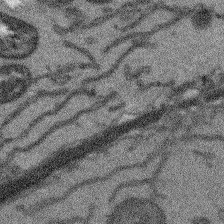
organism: Arabidopsis thaliana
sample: Root tip